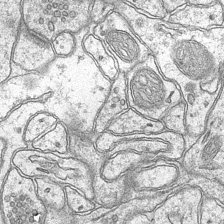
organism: Mouse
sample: CA1 Hippocampus